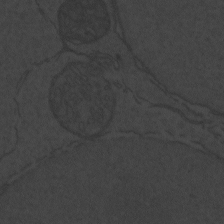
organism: Zebrafish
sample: Macrophage infected with Toxoplasma gondii